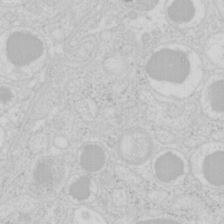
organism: Mouse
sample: Pancreas